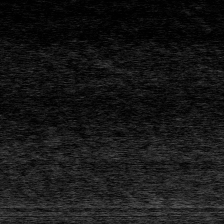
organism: Human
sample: HeLa cells